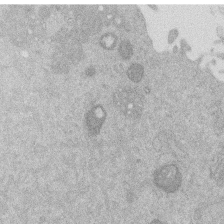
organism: Mouse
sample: Dividing mouse embryo 1 cell stage